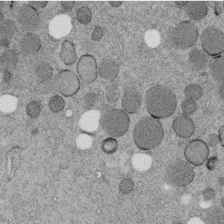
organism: C. elegans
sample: C. elegans embryo early stage